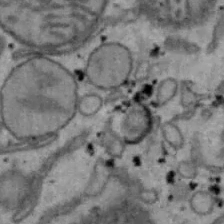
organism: Mouse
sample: Liver